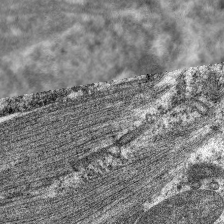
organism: C. elegans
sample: Pharynx